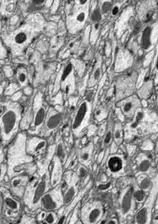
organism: Drosophila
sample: Optic lobe